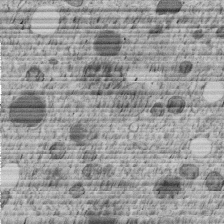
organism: C. elegans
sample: C. elegans embryo early stage